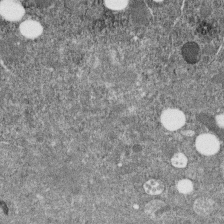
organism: C. elegans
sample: C. elegans embryo early stage